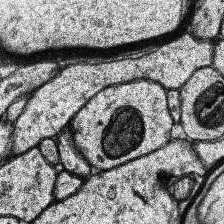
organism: Human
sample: Temporal Lobe